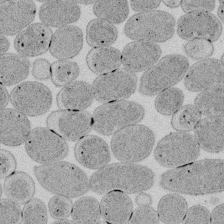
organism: E. coli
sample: Bacterial nucleoid